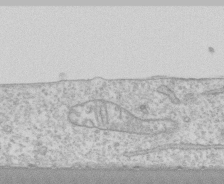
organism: Human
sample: CRL-1474